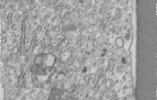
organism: Human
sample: Centriole in RPE cells